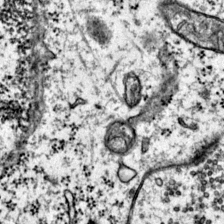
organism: Mouse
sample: Primary visual cortex